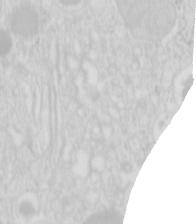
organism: Mouse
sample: Pancreas